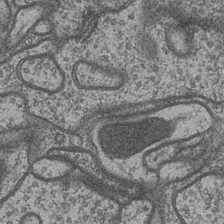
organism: Drosophila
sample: Optic medulla